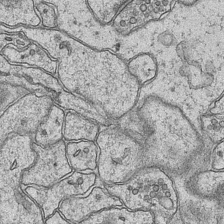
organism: Mouse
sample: CA1 Hippocampus